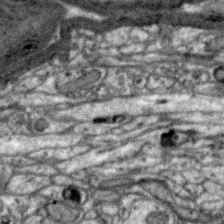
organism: Zebra finch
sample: Brain